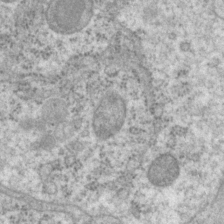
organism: P. pacificus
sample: Pharynx